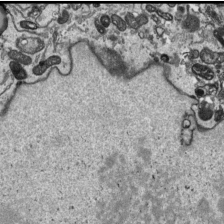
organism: Human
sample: Mitochondria in HCT116 cells